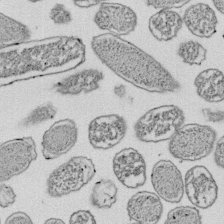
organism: E. coli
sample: Bacterial nucleoid